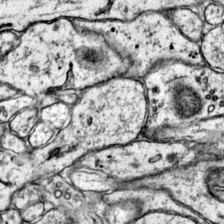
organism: Mouse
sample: Primary visual cortex